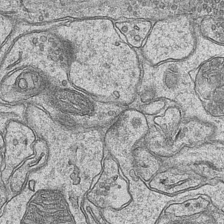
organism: Mouse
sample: CA1 Hippocampus